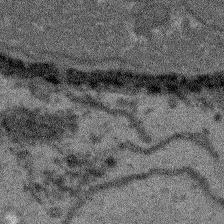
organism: Arabidopsis thaliana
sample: Root tip